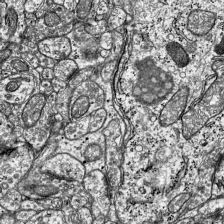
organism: Mouse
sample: Visual Cortex